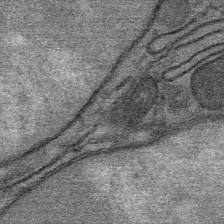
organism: Mouse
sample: Mouse Salivary gland